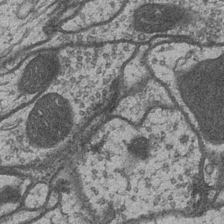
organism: Drosophila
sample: Optic medulla